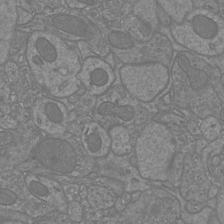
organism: Mouse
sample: Cortical neurons